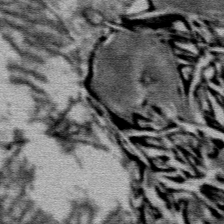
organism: Mouse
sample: Mouse Salivary gland